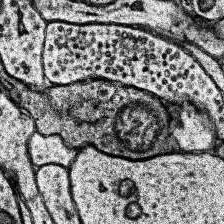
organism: Human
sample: Temporal Lobe